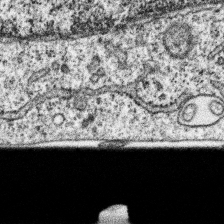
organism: Human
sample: HeLa cells